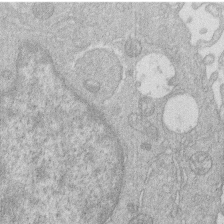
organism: Human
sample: Macrophage cells